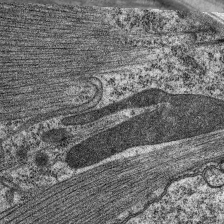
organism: C. elegans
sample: Pharynx